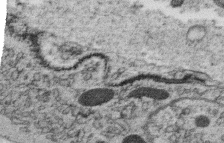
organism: C. elegans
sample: C. elegans oocyte; sperm cells